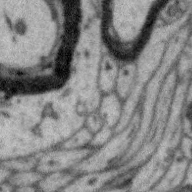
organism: Zebra finch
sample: Brain